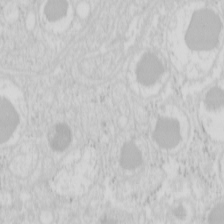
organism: Mouse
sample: Pancreas